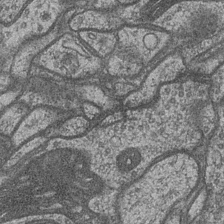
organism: Drosophila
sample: Optic medulla